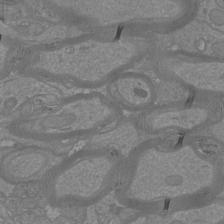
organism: Mouse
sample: Cortical neurons